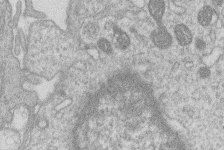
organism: Human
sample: Macrophage cells